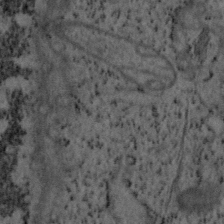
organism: Human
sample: HeLa cells